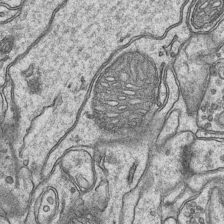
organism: Mouse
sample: CA1 Hippocampus